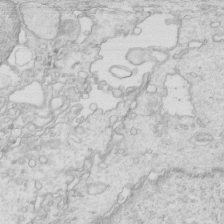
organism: Mouse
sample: Multiciliated cells